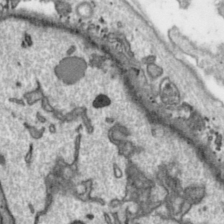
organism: Toxoplasma gondii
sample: Parasites in a vacuole inside a host cell